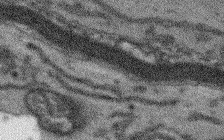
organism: Arabidopsis thaliana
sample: Root tip